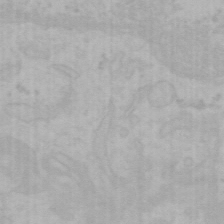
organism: Mouse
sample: Choroid plexus